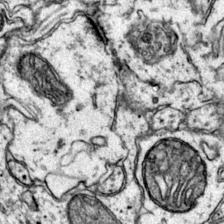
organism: Mouse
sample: Primary visual cortex